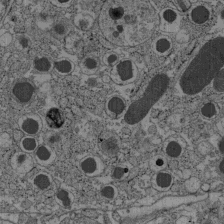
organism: C57BL Mouse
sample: Pancreatic islet